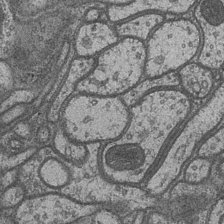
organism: Drosophila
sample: Optic medulla